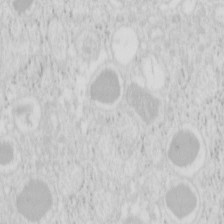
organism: Mouse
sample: Pancreas